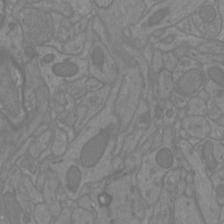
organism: Mouse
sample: Cortical neurons